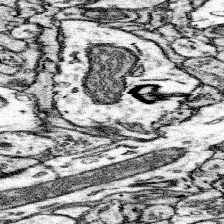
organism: Mouse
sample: Somatosensory cortex neuropil